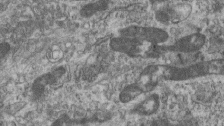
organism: Mouse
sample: Centriole in ependymal cells